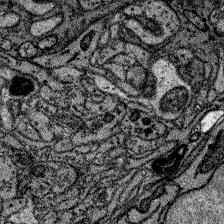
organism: Zebrafish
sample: Larval olfactory bulb